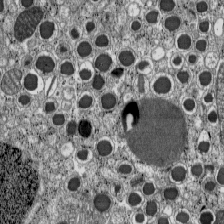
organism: C57BL Mouse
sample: Pancreatic islet